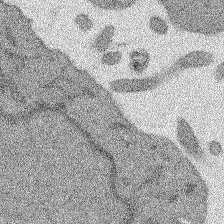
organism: Human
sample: HeLa cells